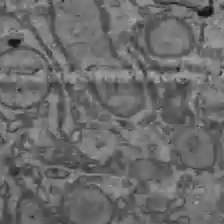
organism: C57BL Mouse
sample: Liver